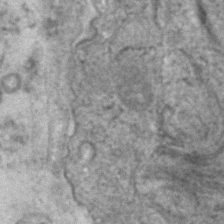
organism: Human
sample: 1205lu cells